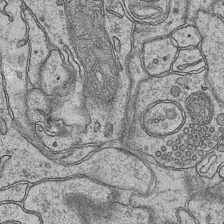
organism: Mouse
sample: CA1 Hippocampus